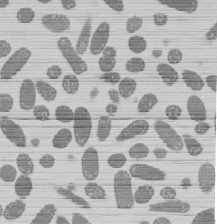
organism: E. coli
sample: Bacterial nucleoid